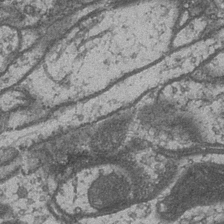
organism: Drosophila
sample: Optic medulla